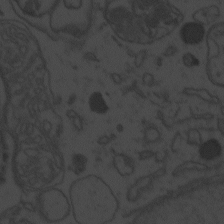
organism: Zebrafish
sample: Macrophage infected with Toxoplasma gondii